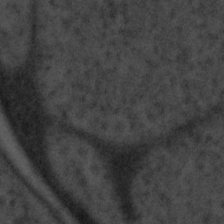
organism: Tuwongella immobilis